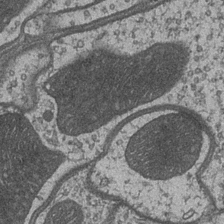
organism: Drosophila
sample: Optic medulla